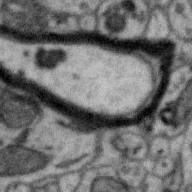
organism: Zebra finch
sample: Brain